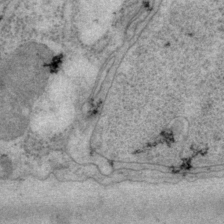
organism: P. pacificus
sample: Pharynx